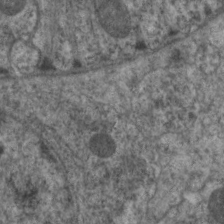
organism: C. elegans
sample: Pharynx